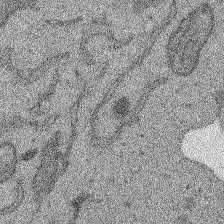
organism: Human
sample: HeLa cells